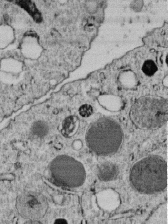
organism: C. elegans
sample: C. elegans embryo early stage